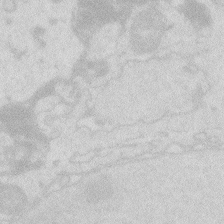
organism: Zebrafish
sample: Macrophage